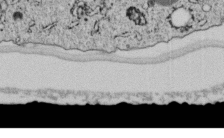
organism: C. elegans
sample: C. elegans embryo early stage